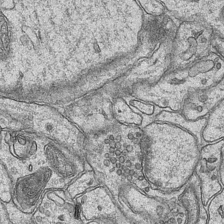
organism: Mouse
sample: CA1 Hippocampus